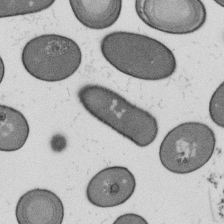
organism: B. subtilis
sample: Bacterial spore